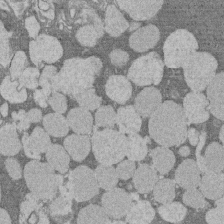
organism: Rat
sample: Salivary granule